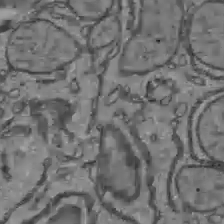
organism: C57BL Mouse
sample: Liver